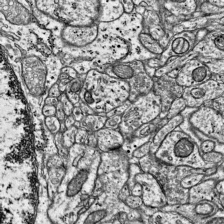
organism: Mouse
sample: Visual Cortex